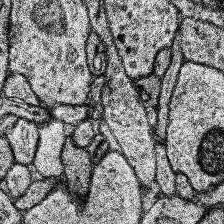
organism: Human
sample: Temporal Lobe